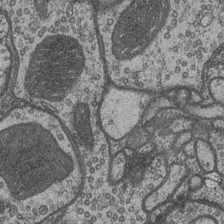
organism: Drosophila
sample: Optic medulla